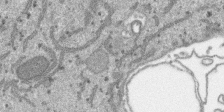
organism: Human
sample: Lung epithelial cells infected with SARS-CoV-2